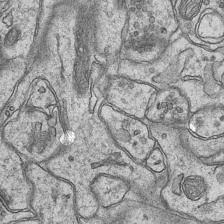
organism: Mouse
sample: CA1 Hippocampus